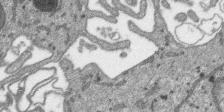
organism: Human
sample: Lung epithelial cells infected with SARS-CoV-2